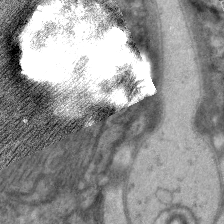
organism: C. elegans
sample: Pharynx